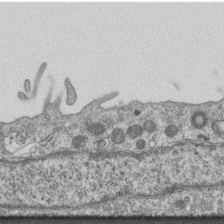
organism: Mouse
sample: Centriole in ependymal cells